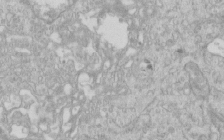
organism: Human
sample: Centriole in RPE cells